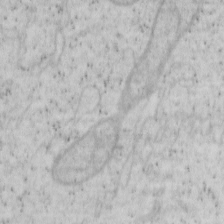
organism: Human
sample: HeLa cells